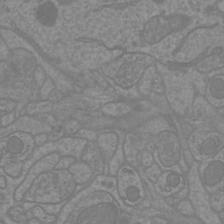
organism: Mouse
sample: Cortical neurons